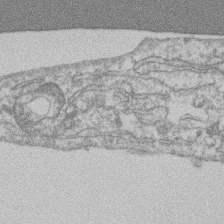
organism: Mouse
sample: T cell stromal cell synapse